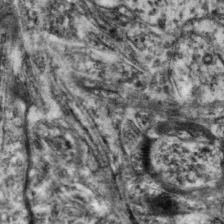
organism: Mouse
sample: Neocortex